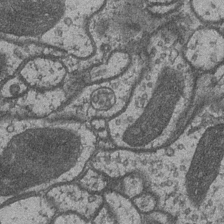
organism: Drosophila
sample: Optic medulla